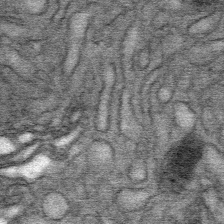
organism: Mouse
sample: Mouse Salivary gland